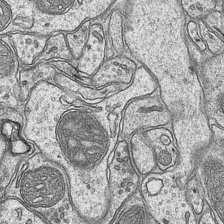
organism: Mouse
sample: CA1 Hippocampus